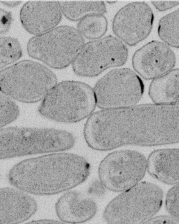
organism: E. coli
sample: Bacterial nucleoid